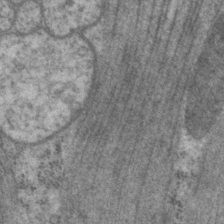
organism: P. pacificus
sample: Pharynx